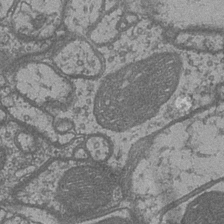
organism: Drosophila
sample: Optic medulla